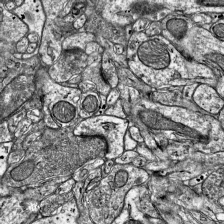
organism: Mouse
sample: Visual Cortex